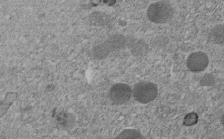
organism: C. elegans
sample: C. elegans embryo early stage